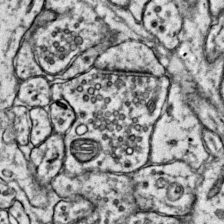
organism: Mouse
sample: Primary visual cortex